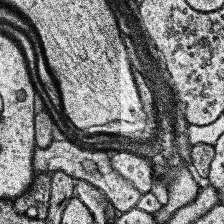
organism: Human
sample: Temporal Lobe